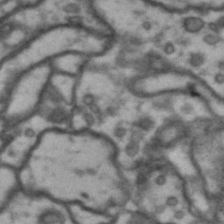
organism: Drosophila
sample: Brain